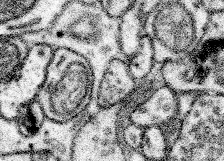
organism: Mouse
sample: Somatosensory cortex neuropil